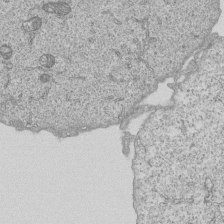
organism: Human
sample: MDA-MB-231 cells